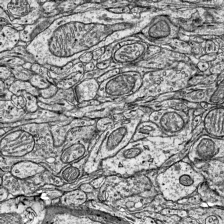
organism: Mouse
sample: Visual Cortex